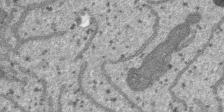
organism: Human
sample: Lung epithelial cells infected with SARS-CoV-2